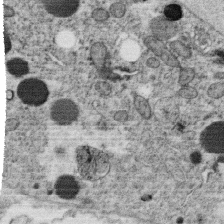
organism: C. elegans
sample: C. elegans oocyte; sperm cells